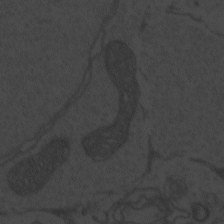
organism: Zebrafish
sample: Macrophage infected with Toxoplasma gondii